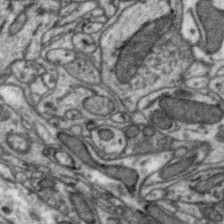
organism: Zebra finch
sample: Brain